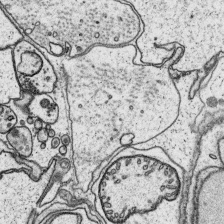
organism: Platynereis dumerilii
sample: Parapodia